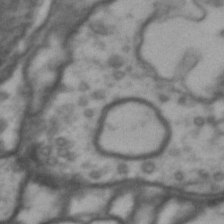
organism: Drosophila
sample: Brain